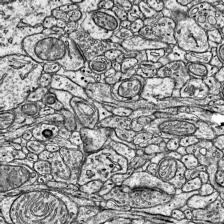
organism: Mouse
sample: Visual Cortex